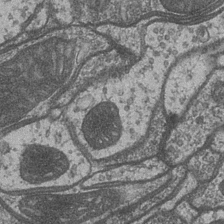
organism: Drosophila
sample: Optic medulla